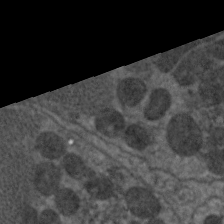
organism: C. elegans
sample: Pharynx